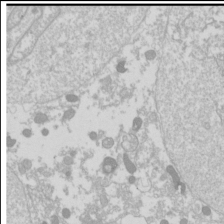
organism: Drosophila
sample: Cell division; meiosis; drosophila spermatocytes